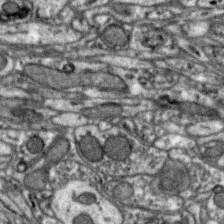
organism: Zebra finch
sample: Brain